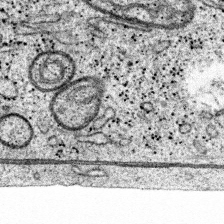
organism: Human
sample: HeLa cells